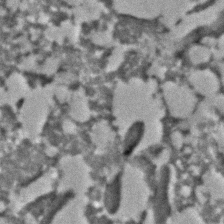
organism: C. elegans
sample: C. elegans embryo